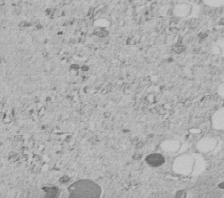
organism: C. elegans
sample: C. elegans embryo early stage